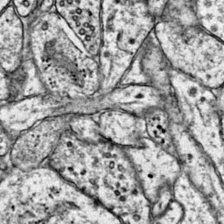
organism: Mouse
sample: Primary visual cortex